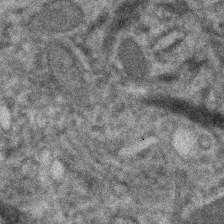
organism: Human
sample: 1205lu cells